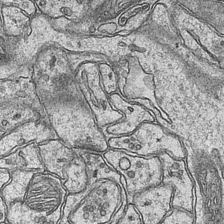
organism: Mouse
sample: CA1 Hippocampus